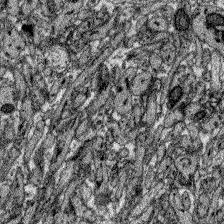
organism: Zebrafish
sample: Larval olfactory bulb